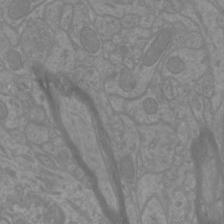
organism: Mouse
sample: Cortical neurons